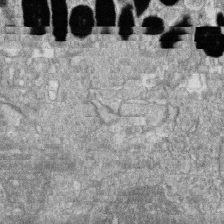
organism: Zebrafish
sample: Cilia; retinal pigment epithelium